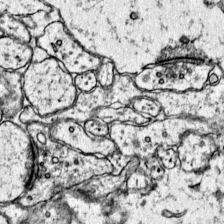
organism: Mouse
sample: Primary visual cortex